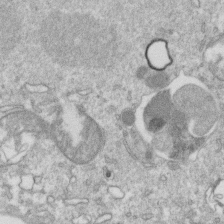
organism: Mouse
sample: Activated OT-1 CD8+ T cells